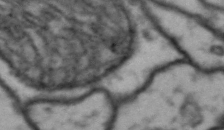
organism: Drosophila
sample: Brain